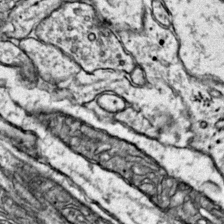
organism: Mouse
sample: Primary visual cortex